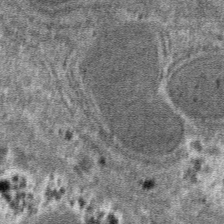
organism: Mouse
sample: Mouse hepatocytes